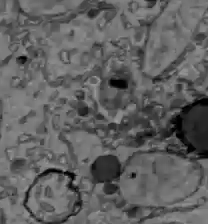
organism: C57BL Mouse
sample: Liver